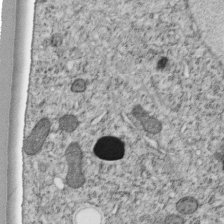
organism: C. elegans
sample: C. elegans embryo early stage